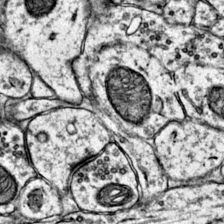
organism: Mouse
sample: Primary visual cortex